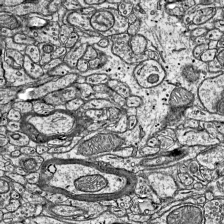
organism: Mouse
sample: Visual Cortex